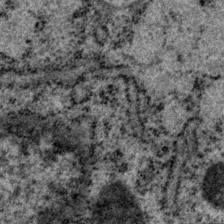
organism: P. pacificus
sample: Pharynx